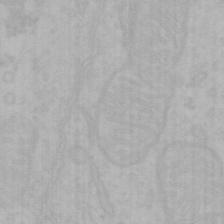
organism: Mouse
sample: Choroid plexus